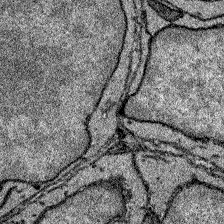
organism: Zebrafish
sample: Larval olfactory bulb